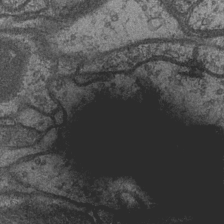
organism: Drosophila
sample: Optic medulla